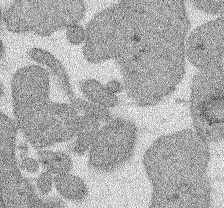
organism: Human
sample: HeLa cells